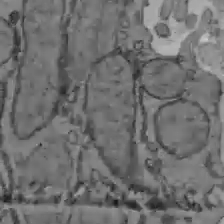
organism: C57BL Mouse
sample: Liver